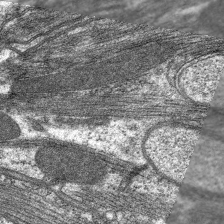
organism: C. elegans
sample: Pharynx